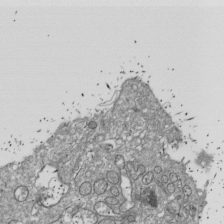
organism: Drosophila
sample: Cell division; meiosis; drosophila spermatocytes